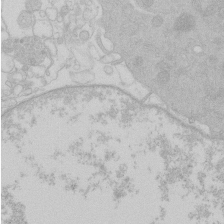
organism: Human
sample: Macrophage cells